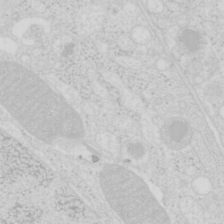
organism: Mouse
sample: Pancreas